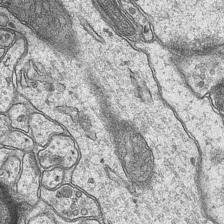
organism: Mouse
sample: CA1 Hippocampus